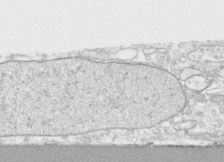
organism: Human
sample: CRL-1474